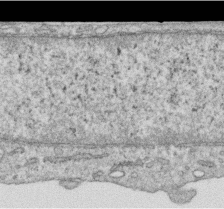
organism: Human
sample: Centriole in RPE cells